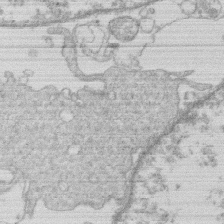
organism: Human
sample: Macrophage cells